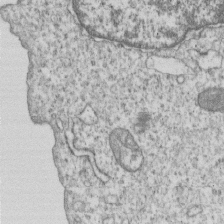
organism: Human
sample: MDA-MB-231 cells